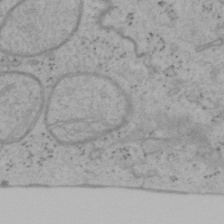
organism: Human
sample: HeLa cells